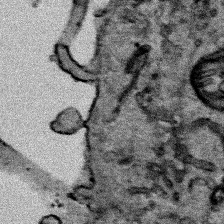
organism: Human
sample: Mitochondria in HCT116 cells